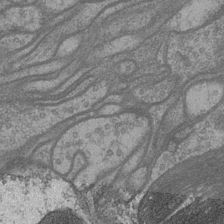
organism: Drosophila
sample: Optic medulla